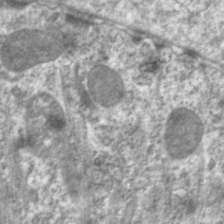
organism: C. elegans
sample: Pharynx